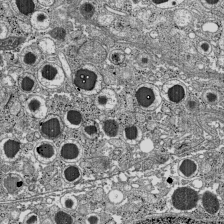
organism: C57BL Mouse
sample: Pancreatic islet